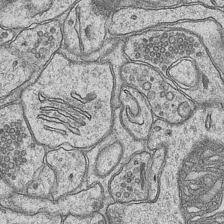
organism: Mouse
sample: CA1 Hippocampus